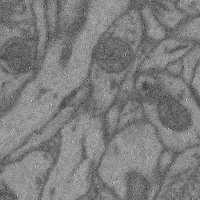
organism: Mouse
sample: Cerebral cortex